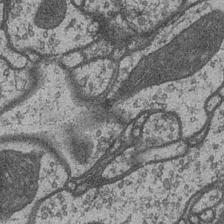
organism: Drosophila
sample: Optic medulla